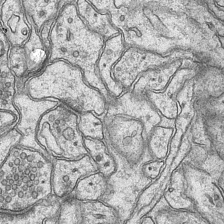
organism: Mouse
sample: CA1 Hippocampus